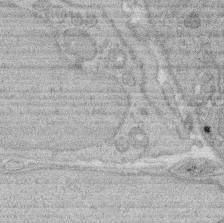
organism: Rat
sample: Salivary granule